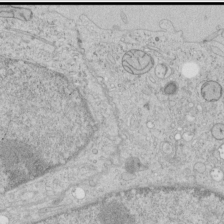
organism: Human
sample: Mitochondria in HCT116 cells